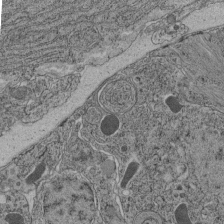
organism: C. elegans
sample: C. elegans pharynx